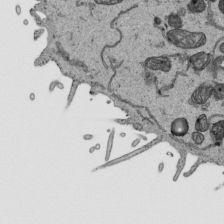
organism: Human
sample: Mitochondria in HCT116 cells